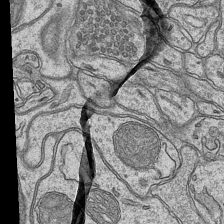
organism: Mouse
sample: CA1 Hippocampus